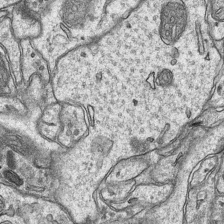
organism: Mouse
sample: CA1 Hippocampus